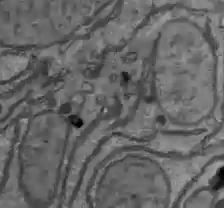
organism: C57BL Mouse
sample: Liver